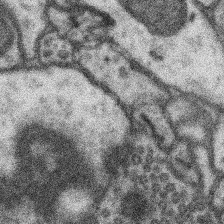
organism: Mouse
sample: Somatosensory cortex neuropil